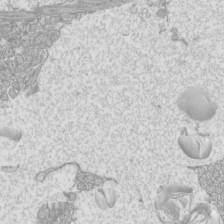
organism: Mouse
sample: Cilia; mouse epididymis